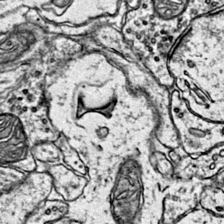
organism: Mouse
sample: Primary visual cortex